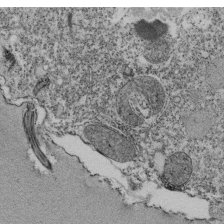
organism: Tetrahymena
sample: Cilia in tetrahymena